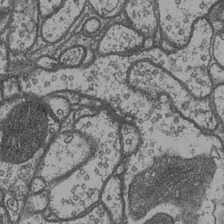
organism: Drosophila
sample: Optic medulla